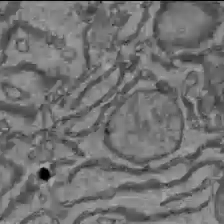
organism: C57BL Mouse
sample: Liver